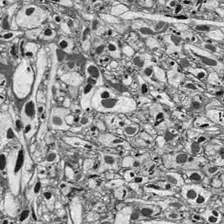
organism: Drosophila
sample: Optic lobe